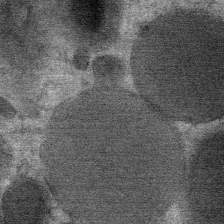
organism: Mouse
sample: Mouse Salivary gland